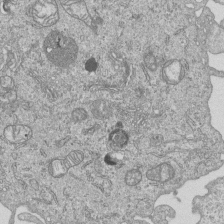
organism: Human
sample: MDA-MB-231 cells